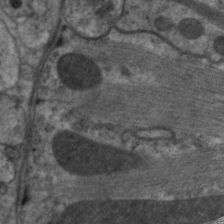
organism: C. elegans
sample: Pharynx